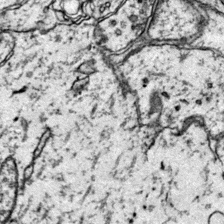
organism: Mouse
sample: Primary visual cortex